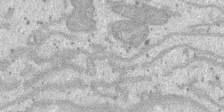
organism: Human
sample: Lung epithelial cells infected with SARS-CoV-2